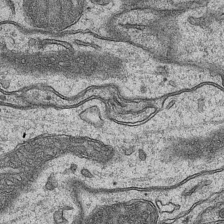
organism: Mouse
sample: CA1 Hippocampus